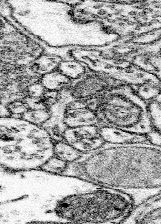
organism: Mouse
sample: Somatosensory cortex neuropil